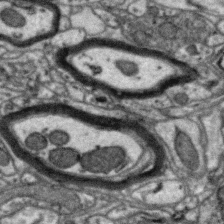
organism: Zebra finch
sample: Brain